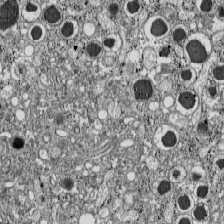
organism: C57BL Mouse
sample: Pancreatic islet